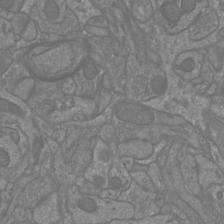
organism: Mouse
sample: Cortical neurons